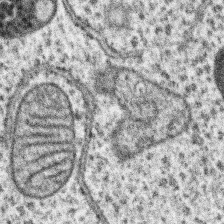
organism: Human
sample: HeLa cells